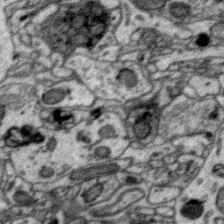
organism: Zebra finch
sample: Brain